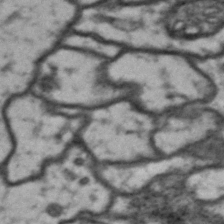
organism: Drosophila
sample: Brain